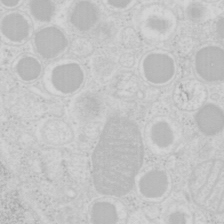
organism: Mouse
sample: Pancreas